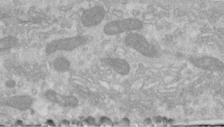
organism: Human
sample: Centriole in RPE cells